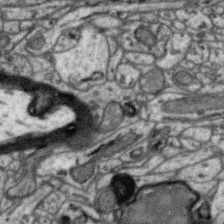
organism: Zebra finch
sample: Brain